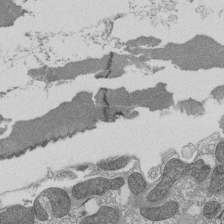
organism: Tetrahymena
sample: Cilia in tetrahymena